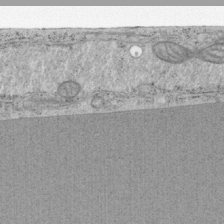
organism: Human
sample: HeLa cells